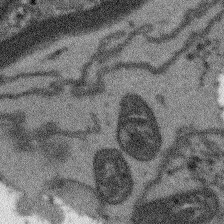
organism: Arabidopsis thaliana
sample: Root tip